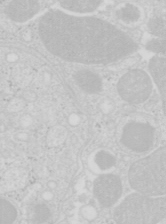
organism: Mouse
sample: Pancreas